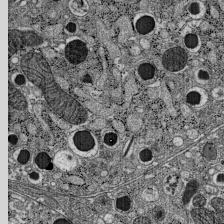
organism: C57BL Mouse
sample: Pancreatic islet